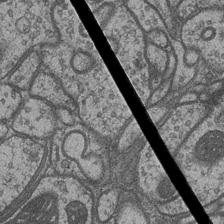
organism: Drosophila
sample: Optic medulla